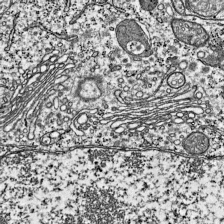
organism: Mouse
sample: Visual Cortex